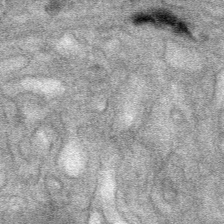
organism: Mouse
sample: Mouse Salivary gland